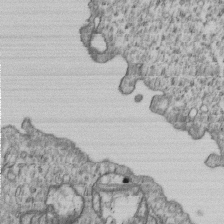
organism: Human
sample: MDA-MB-231 cells